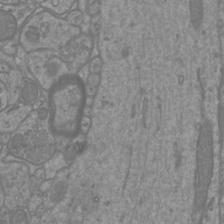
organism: Mouse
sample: Cortical neurons